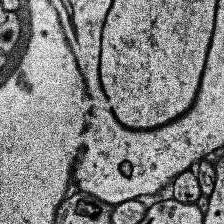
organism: Human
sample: Temporal Lobe